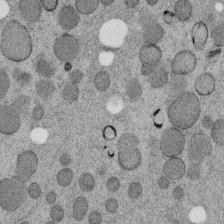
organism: C. elegans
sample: C. elegans embryo early stage